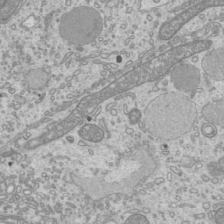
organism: Mouse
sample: Cilia; mouse epididymis